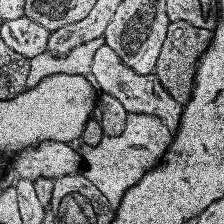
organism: Human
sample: Temporal Lobe